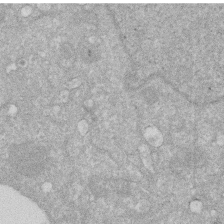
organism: Human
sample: HIV infected U937 cells